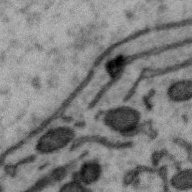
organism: Zebra finch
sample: Brain